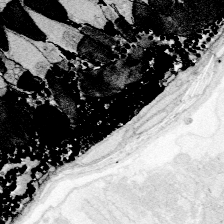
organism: Zebrafish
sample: Whole-Brain